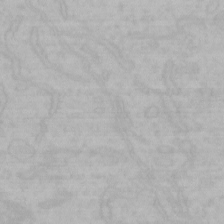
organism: Mouse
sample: Choroid plexus